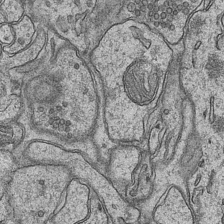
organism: Mouse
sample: CA1 Hippocampus